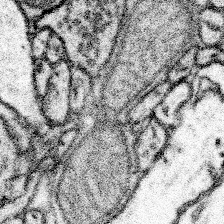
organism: Mouse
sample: Somatosensory cortex neuropil